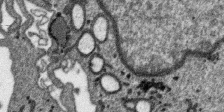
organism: Human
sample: Lung epithelial cells infected with SARS-CoV-2